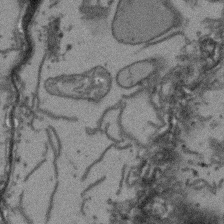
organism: Arabidopsis thaliana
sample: Root tip